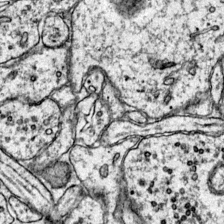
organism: Mouse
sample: Primary visual cortex